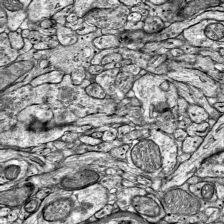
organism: Mouse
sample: Visual Cortex